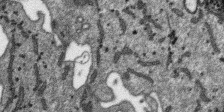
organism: Human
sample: Lung epithelial cells infected with SARS-CoV-2